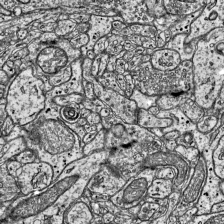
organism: Mouse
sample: Visual Cortex